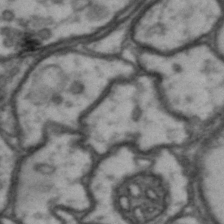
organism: Drosophila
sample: Brain